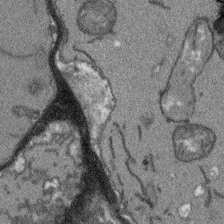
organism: Arabidopsis thaliana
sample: Root tip